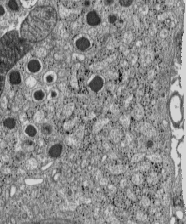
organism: C57BL Mouse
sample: Pancreatic islet